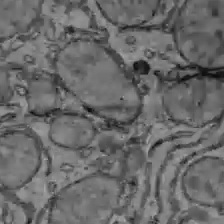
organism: C57BL Mouse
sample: Liver